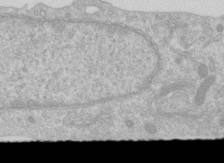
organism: Human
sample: Centriole in RPE cells